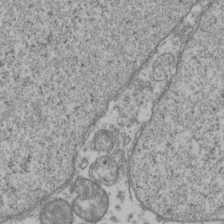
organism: Human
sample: Activated Jurkat CD4+ T cells